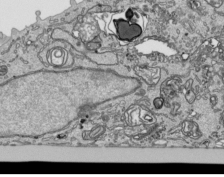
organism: Human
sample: Mitochondria in HCT116 cells